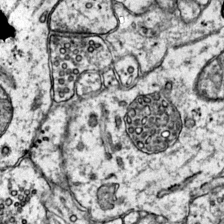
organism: Mouse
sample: Primary visual cortex